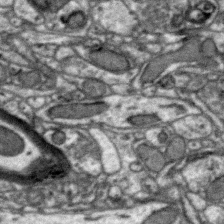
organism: Zebra finch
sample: Brain